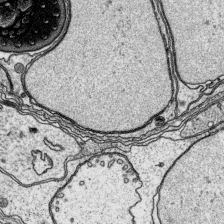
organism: Platynereis dumerilii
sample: Parapodia